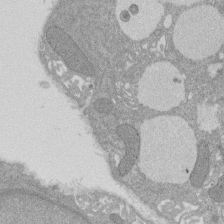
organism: Rat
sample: Salivary granule